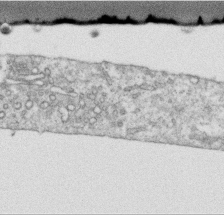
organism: Human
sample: Centriole in RPE cells